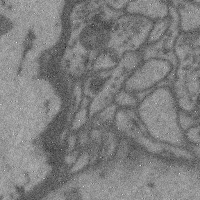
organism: Mouse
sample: Cerebral cortex